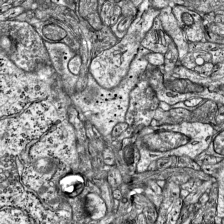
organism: Mouse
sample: Visual Cortex